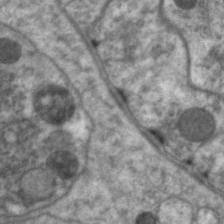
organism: C. elegans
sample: Pharynx